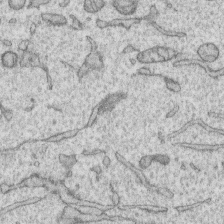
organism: Human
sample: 1205lu cells